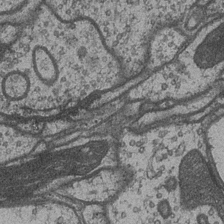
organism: Drosophila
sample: Optic medulla